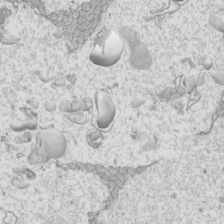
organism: Mouse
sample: Cilia; mouse epididymis